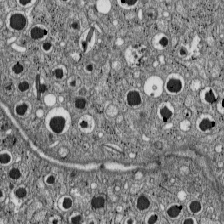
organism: C57BL Mouse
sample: Pancreatic islet